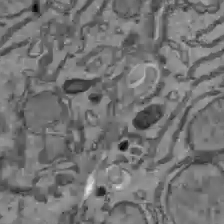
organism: C57BL Mouse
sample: Liver